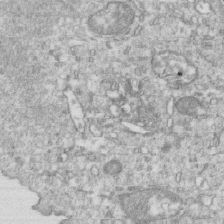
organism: Mouse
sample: Activated OT-1 CD8+ T cells